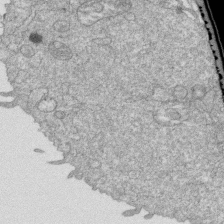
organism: Human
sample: HeLa cell HIV synapse